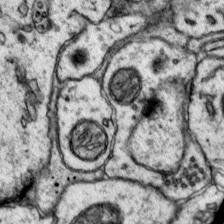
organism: Mouse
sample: Primary visual cortex